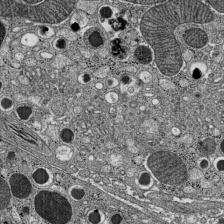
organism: C57BL Mouse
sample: Pancreatic islet